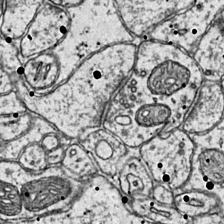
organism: Mouse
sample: Primary visual cortex